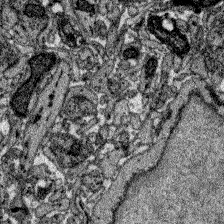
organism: Zebrafish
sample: Larval olfactory bulb